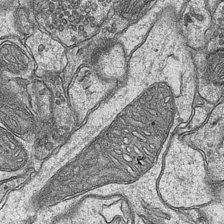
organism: Mouse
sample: CA1 Hippocampus